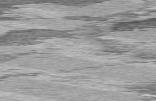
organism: C57BL Mouse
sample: Heart